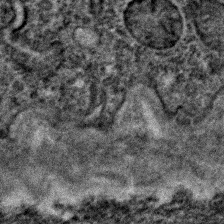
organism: C. elegans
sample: C. elegans embryo